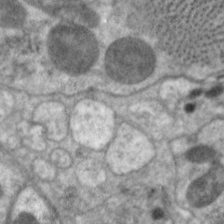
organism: C. elegans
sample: Pharynx